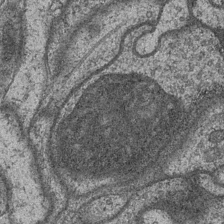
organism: Drosophila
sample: Optic medulla